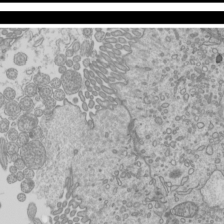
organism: Mouse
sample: Cilia; mouse epididymis